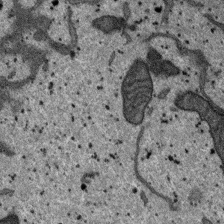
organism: Human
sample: Lung epithelial cells, uninfected (mock) control